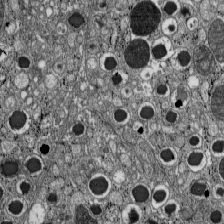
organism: C57BL Mouse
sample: Pancreatic islet